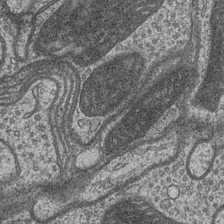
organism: Drosophila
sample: Optic medulla